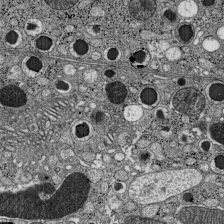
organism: C57BL Mouse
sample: Pancreatic islet